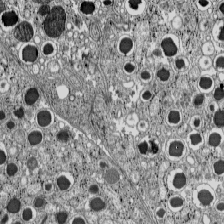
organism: C57BL Mouse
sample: Pancreatic islet